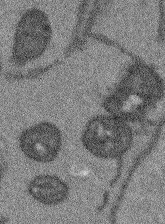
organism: Arabidopsis thaliana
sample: Root tip